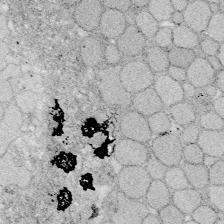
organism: Zebrafish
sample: Whole-Brain